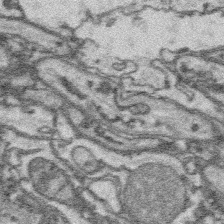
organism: Platynereis dumerilii